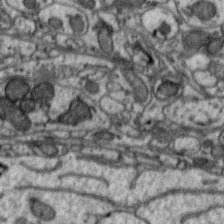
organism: Zebra finch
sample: Brain